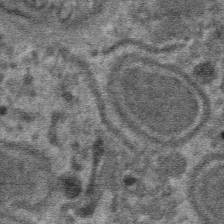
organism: Mouse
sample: Mouse hepatocytes